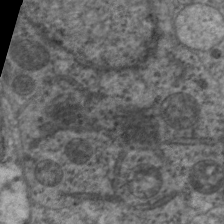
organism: C. elegans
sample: Pharynx